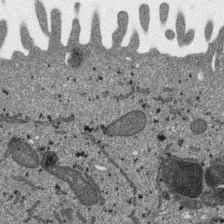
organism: Human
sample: Lung epithelial cells infected with SARS-CoV-2